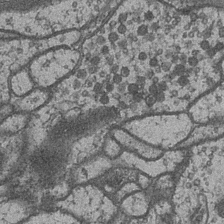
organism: Drosophila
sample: Optic medulla